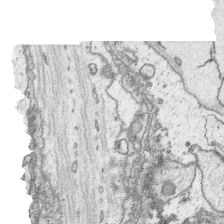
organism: Platynereis dumerilii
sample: Parapodia